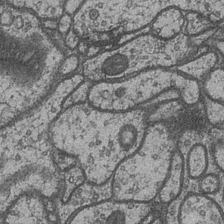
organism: Drosophila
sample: Optic medulla